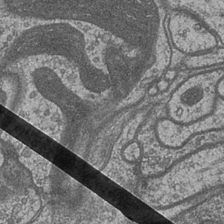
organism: Drosophila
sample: Optic medulla